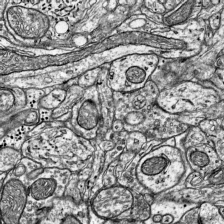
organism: Mouse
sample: Visual Cortex